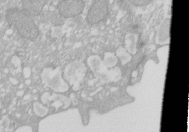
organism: Xenopus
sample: Cilia; centrioles in frog embryo cells